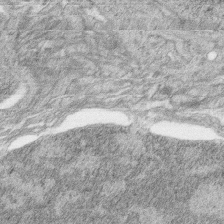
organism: Zebrafish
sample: synaptic ribbons in rod cells and cone cells